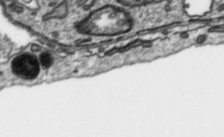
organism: Toxoplasma gondii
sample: Parasites in a vacuole inside a host cell